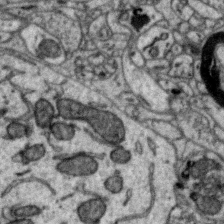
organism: Zebra finch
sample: Brain